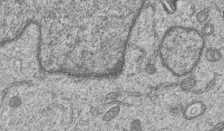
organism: Human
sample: MDA-MB-231 cells